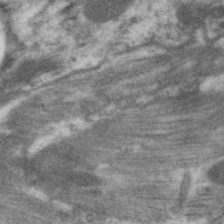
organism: C. elegans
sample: Pharynx